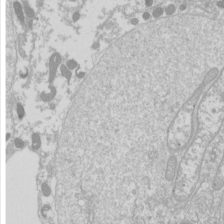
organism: Drosophila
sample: Cell division; meiosis; drosophila spermatocytes